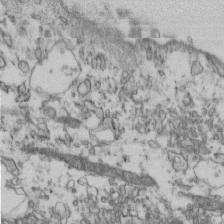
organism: Mouse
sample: Cilia; retinal pigment epithelium